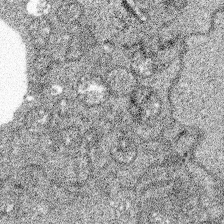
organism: Spongilla lacustris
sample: Multiple